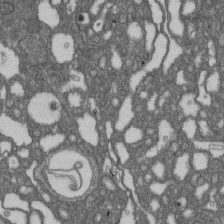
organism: Drosophila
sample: Nephrocyte